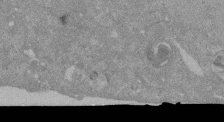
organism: Mouse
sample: ED-1 cell nuclei; centrioles